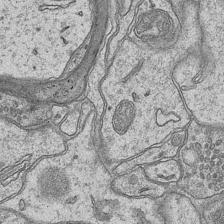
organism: Mouse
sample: CA1 Hippocampus